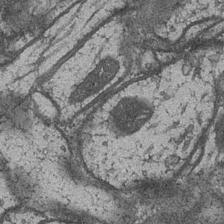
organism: Drosophila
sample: Optic medulla